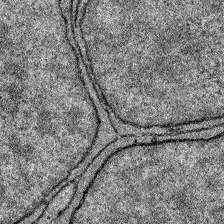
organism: Zebrafish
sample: Larval olfactory bulb